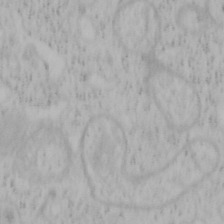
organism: Mouse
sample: OT-I killer T cells with ID8 ovarian cancer cells